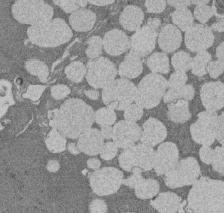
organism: Rat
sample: Salivary granule